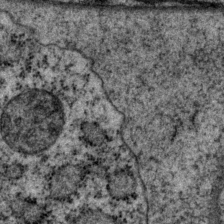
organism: P. pacificus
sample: Pharynx